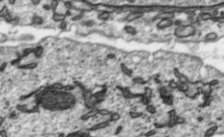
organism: Toxoplasma gondii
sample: Parasites in a vacuole inside a host cell